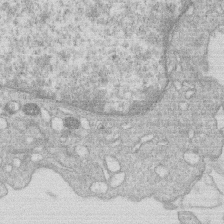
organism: Human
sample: Macrophage cells